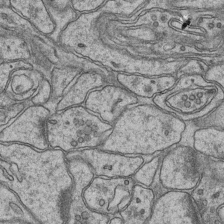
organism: Mouse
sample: CA1 Hippocampus